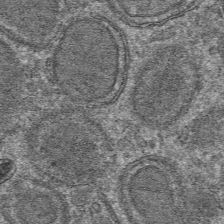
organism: Mouse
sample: Mouse hepatocytes